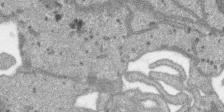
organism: Human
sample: Lung epithelial cells infected with SARS-CoV-2